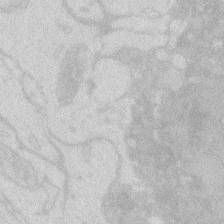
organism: Zebrafish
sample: Macrophage